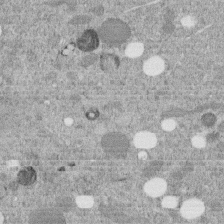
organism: C. elegans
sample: C. elegans embryo early stage